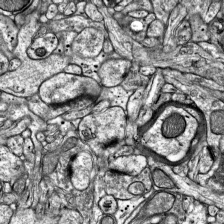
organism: Mouse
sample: Visual Cortex